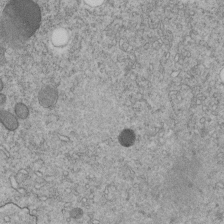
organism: C. elegans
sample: C. elegans embryo early stage